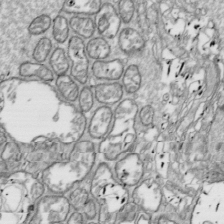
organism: Drosophila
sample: Cell division; meiosis; drosophila spermatocytes